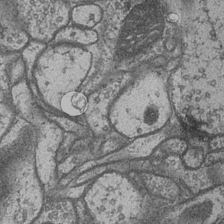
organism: Drosophila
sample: Optic medulla